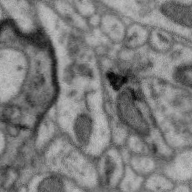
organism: Zebra finch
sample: Brain